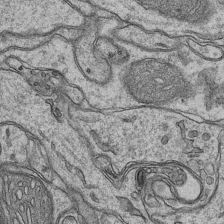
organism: Mouse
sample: CA1 Hippocampus